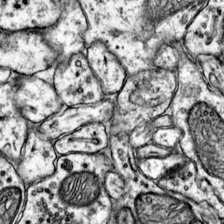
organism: Mouse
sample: Primary visual cortex